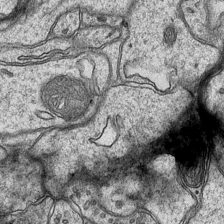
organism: Mouse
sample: CA1 Hippocampus